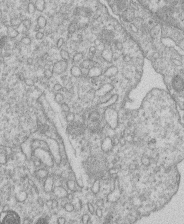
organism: Human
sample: Macrophage cells